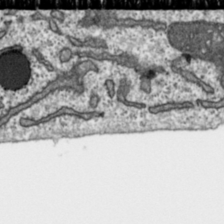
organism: Toxoplasma gondii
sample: Parasites in a vacuole inside a host cell